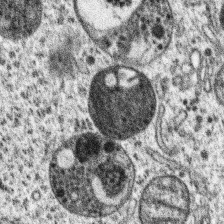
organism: Human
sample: HeLa cells